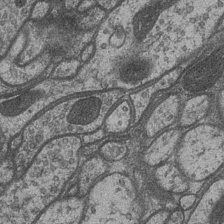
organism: Drosophila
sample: Optic medulla